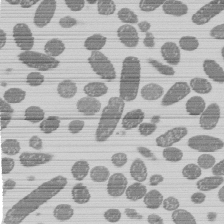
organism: E. coli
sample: Bacterial nucleoid